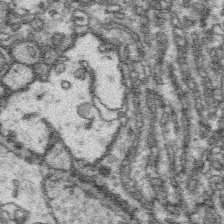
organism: Platynereis dumerilii